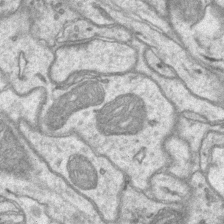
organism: Mouse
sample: CA1 Hippocampus